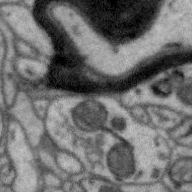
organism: Zebra finch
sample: Brain